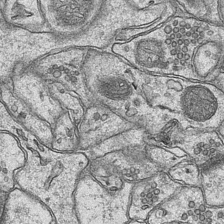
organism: Mouse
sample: CA1 Hippocampus